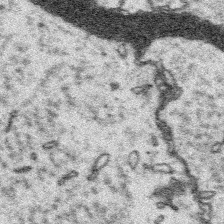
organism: Platynereis dumerilii